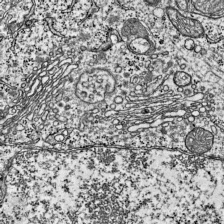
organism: Mouse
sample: Visual Cortex